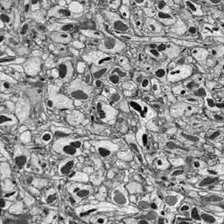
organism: Drosophila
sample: Optic lobe